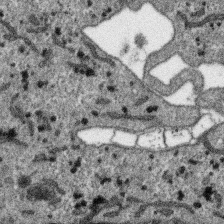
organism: Human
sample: Lung epithelial cells infected with SARS-CoV-2